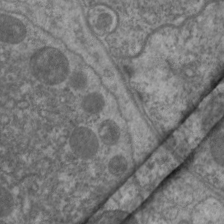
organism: C. elegans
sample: Pharynx